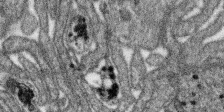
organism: Human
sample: Lung epithelial cells infected with SARS-CoV-2